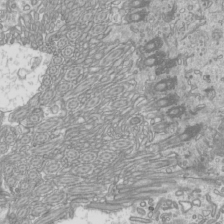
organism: Mouse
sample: Cilia; mouse epididymis